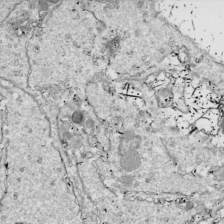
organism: Drosophila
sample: Cell division; meiosis; drosophila spermatocytes